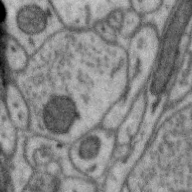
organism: Zebra finch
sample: Brain